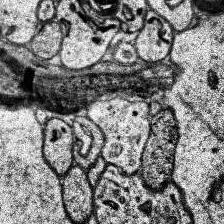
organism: Human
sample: Temporal Lobe